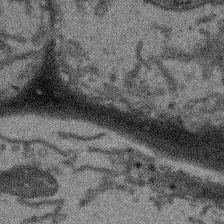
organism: Arabidopsis thaliana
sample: Root tip